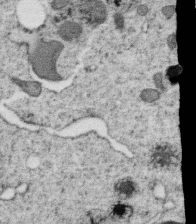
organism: C. elegans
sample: C. elegans oocyte; sperm cells